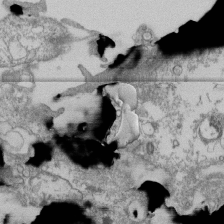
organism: Human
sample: Fibroblast cells